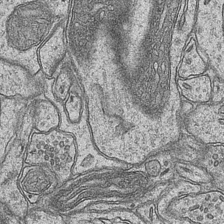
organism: Mouse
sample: CA1 Hippocampus